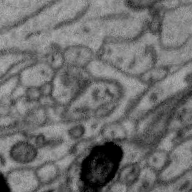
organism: Zebra finch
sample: Brain